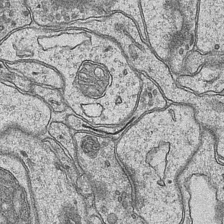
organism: Mouse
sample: CA1 Hippocampus